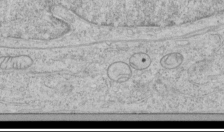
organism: Human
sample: Mitochondria in HCT116 cells